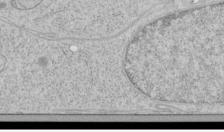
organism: Human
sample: Mitochondria in HCT116 cells